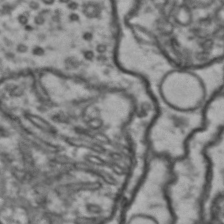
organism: Drosophila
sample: Brain